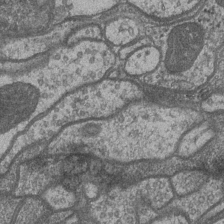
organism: Drosophila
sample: Optic medulla